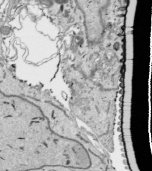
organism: Human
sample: Mitochondria in HCT116 cells